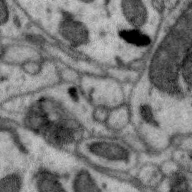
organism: Zebra finch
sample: Brain